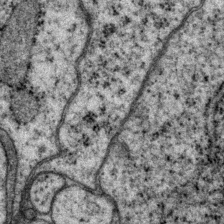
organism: P. pacificus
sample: Pharynx